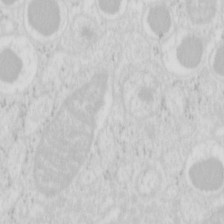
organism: Mouse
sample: Pancreas